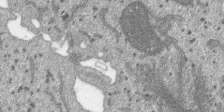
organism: Human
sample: Lung epithelial cells infected with SARS-CoV-2